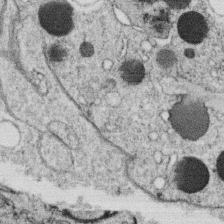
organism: C. elegans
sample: C. elegans oocyte; sperm cells